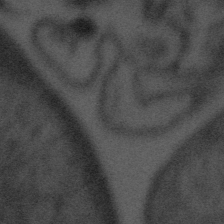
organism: Tuwongella immobilis